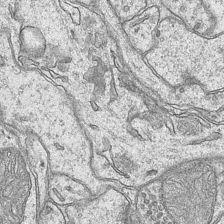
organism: Mouse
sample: CA1 Hippocampus